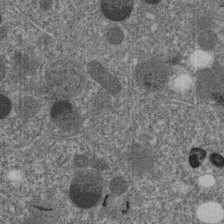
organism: C. elegans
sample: C. elegans embryo early stage